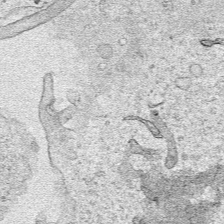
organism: Human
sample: Mitochondria in HCT116 cells